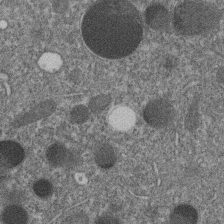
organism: C. elegans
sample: C. elegans embryo early stage